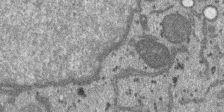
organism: Human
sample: Lung epithelial cells infected with SARS-CoV-2